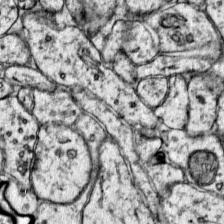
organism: Mouse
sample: Primary visual cortex